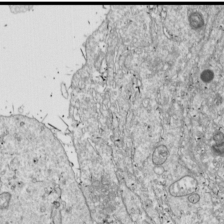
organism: Drosophila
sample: Cell division; meiosis; drosophila spermatocytes